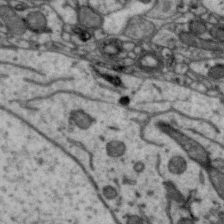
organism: Zebra finch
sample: Brain